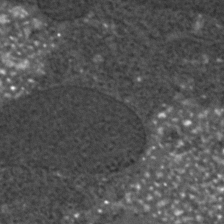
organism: C. elegans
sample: C. elegans embryo